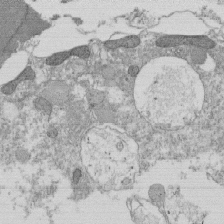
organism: Tetrahymena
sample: Cilia in tetrahymena